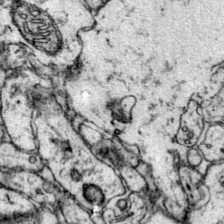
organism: Mouse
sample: Primary visual cortex